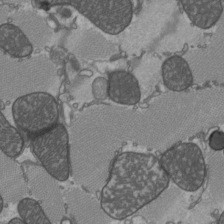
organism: C57BL Mouse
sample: Heart